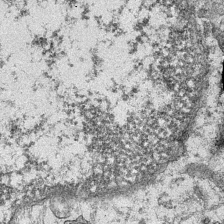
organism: Mouse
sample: CA1 Hippocampus